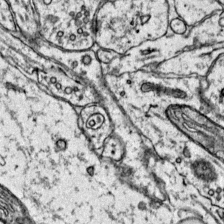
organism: Mouse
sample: Primary visual cortex